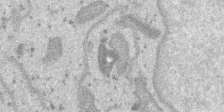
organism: Human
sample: Lung epithelial cells infected with SARS-CoV-2